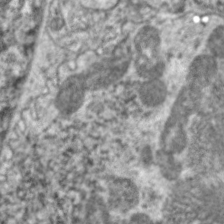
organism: C. elegans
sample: Pharynx